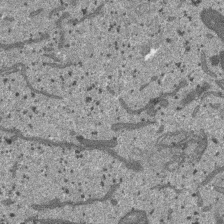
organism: Human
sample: Lung epithelial cells infected with SARS-CoV-2